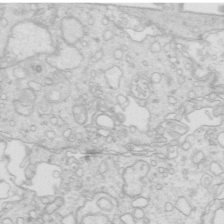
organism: Mouse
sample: Multiciliated cells